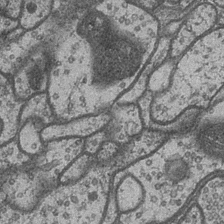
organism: Drosophila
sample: Optic medulla